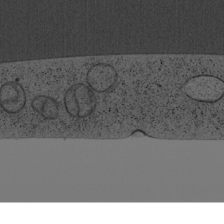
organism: African green monkey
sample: COS-7 cells